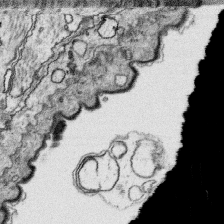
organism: Platynereis dumerilii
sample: Parapodia